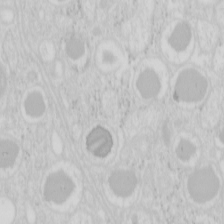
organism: Mouse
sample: Pancreas